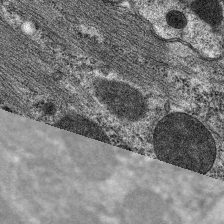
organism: C. elegans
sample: Pharynx